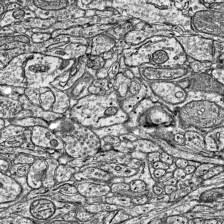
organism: Mouse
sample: Visual Cortex